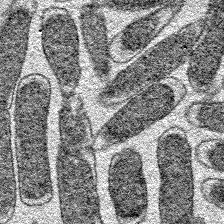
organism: E. coli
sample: E. Coli Bacteria